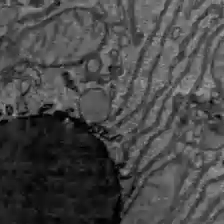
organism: C57BL Mouse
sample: Liver